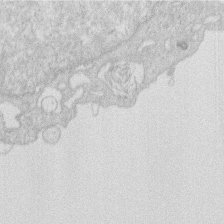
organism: Human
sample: Macrophage cells